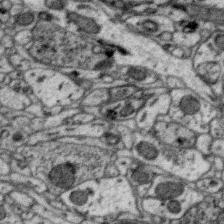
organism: Zebra finch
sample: Brain